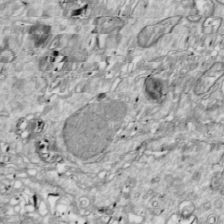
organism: Drosophila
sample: Cell division; meiosis; drosophila spermatocytes